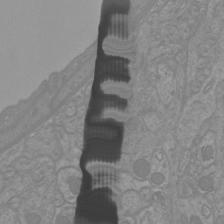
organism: Mouse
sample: Cortical neurons